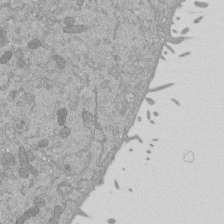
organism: Mouse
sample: ED-1 cell nuclei; centrioles